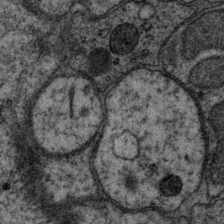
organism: P. pacificus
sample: Pharynx